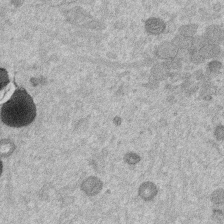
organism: Mouse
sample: Dividing mouse embryo 1 cell stage